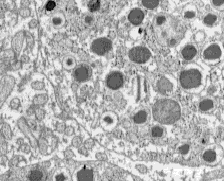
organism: C57BL Mouse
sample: Pancreatic islet